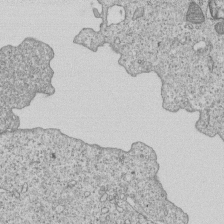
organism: Human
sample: MDA-MB-231 cells